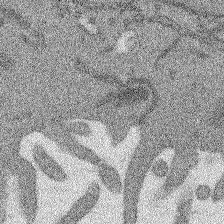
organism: Human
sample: HeLa cells